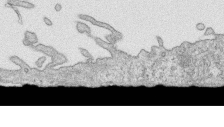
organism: Human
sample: HeLa cell HIV synapse